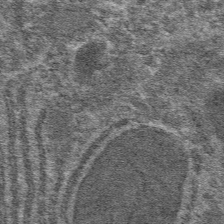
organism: Mouse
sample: Mouse hepatocytes